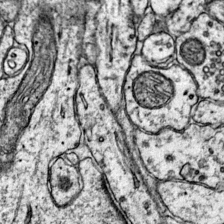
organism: Mouse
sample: Primary visual cortex